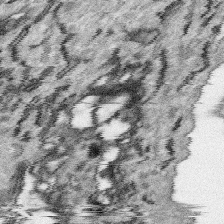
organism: Human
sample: HeLa cells